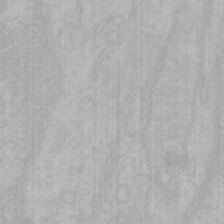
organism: Mouse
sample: Choroid plexus